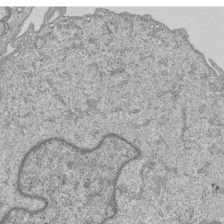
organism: Human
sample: MDA-MB-231 cells